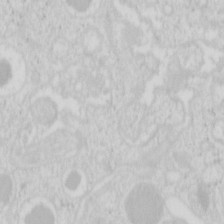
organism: Mouse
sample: Pancreas